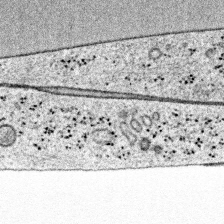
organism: Human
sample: HeLa cells